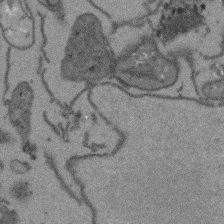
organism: Arabidopsis thaliana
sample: Root tip